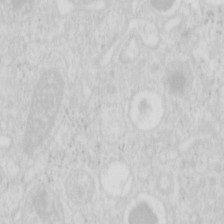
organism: Mouse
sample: Pancreas